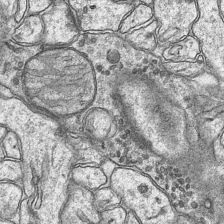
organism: Mouse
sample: CA1 Hippocampus